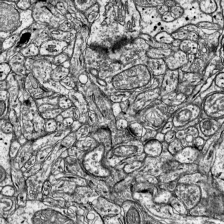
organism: Mouse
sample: Visual Cortex